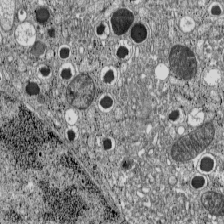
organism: C57BL Mouse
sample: Pancreatic islet